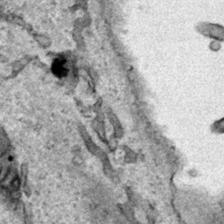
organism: Human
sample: Mitochondria in HCT116 cells